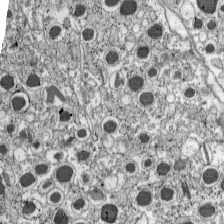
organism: C57BL Mouse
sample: Pancreatic islet